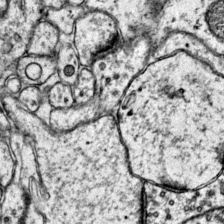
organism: Mouse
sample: Primary visual cortex